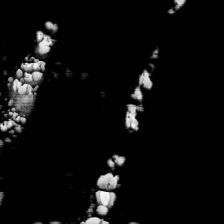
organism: Human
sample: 1205lu cells